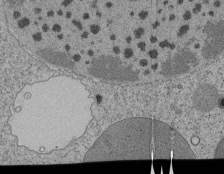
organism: Tetrahymena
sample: Cilia in tetrahymena